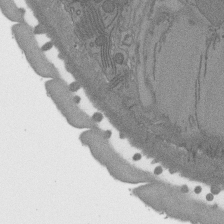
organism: C. elegans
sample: AFD neurons C. elegans